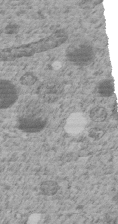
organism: C. elegans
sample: C. elegans embryo early stage